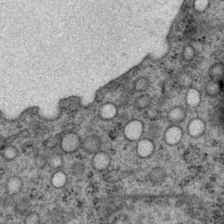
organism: P. pacificus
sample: Pharynx